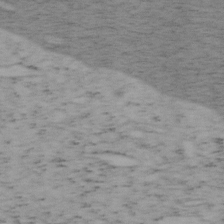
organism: Mouse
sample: OT-I killer T cells with ID8 ovarian cancer cells